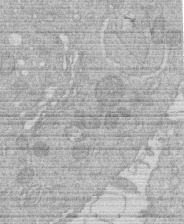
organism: Human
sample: Macrophage cells